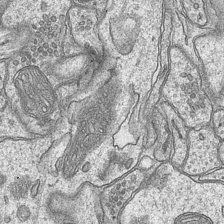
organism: Mouse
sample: CA1 Hippocampus